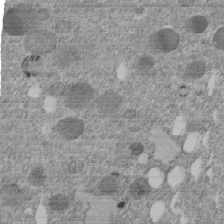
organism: C. elegans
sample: C. elegans embryo early stage